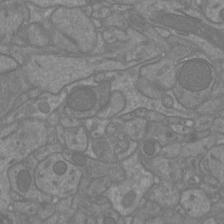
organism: Mouse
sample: Cortical neurons